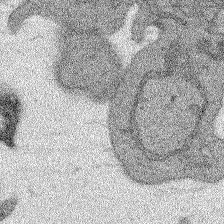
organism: Human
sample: HeLa cells